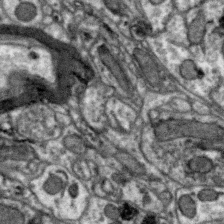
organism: Zebra finch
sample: Brain